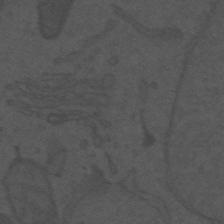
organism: Mouse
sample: Suprachiasmatic nucleus